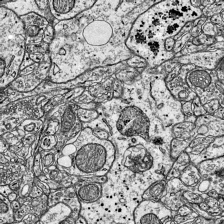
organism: Mouse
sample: Visual Cortex